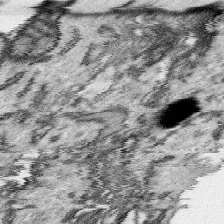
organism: Human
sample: HeLa cells